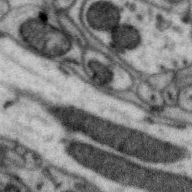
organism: Zebra finch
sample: Brain